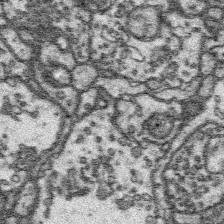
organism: Platynereis dumerilii